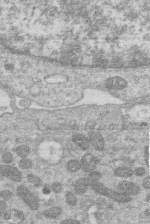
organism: Human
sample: Macrophage cells